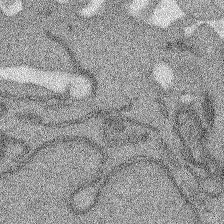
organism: Human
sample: HeLa cells